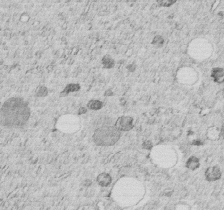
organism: C. elegans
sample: C. elegans embryo early stage